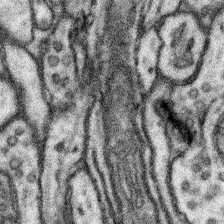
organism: Mouse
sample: Somatosensory cortex neuropil